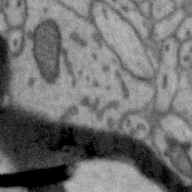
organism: Zebra finch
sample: Brain